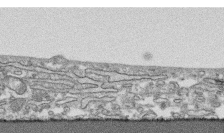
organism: Human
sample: CRL-1474